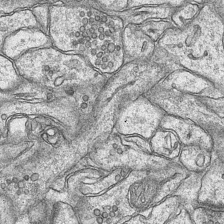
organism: Mouse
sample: CA1 Hippocampus